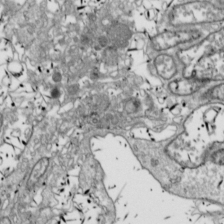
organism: Drosophila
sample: Cell division; meiosis; drosophila spermatocytes